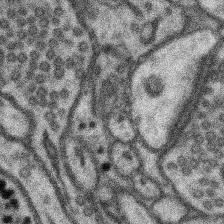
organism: Mouse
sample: Somatosensory cortex neuropil